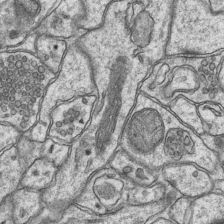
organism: Mouse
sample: CA1 Hippocampus